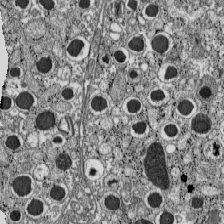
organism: C57BL Mouse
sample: Pancreatic islet